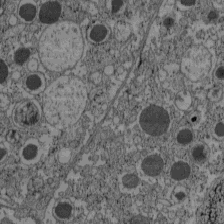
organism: C57BL Mouse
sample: Pancreatic islet